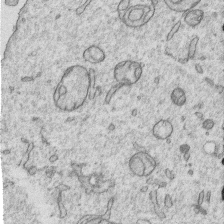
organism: Human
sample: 1205lu cells